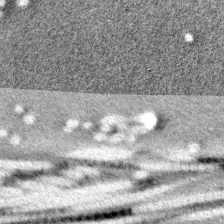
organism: Mouse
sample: Primary visual cortex